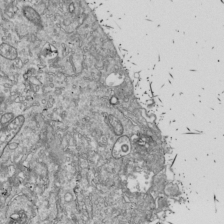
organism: Drosophila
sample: Cell division; meiosis; drosophila spermatocytes